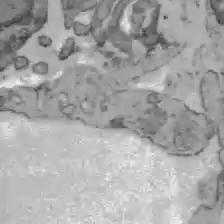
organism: C57BL Mouse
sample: Liver